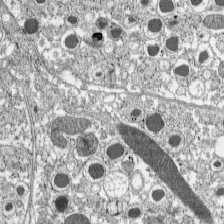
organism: C57BL Mouse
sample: Pancreatic islet